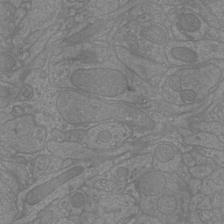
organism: Mouse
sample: Cortical neurons